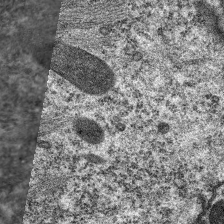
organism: C. elegans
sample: Pharynx